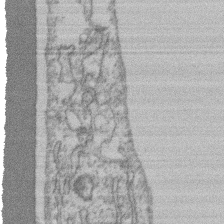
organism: Mouse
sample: T cell stromal cell synapse